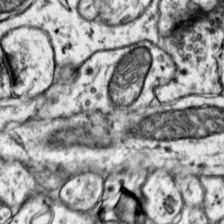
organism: Mouse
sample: Primary visual cortex